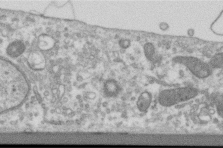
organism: Human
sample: Centriole in RPE cells